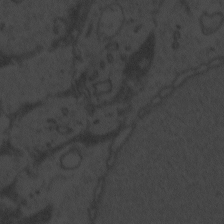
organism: Zebrafish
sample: Macrophage infected with Toxoplasma gondii